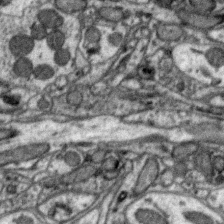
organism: Zebra finch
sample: Brain